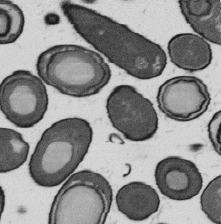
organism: B. subtilis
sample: Bacterial spore